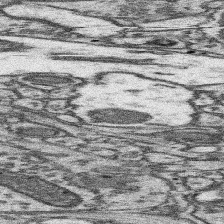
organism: Mouse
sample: Somatosensory cortex neuropil